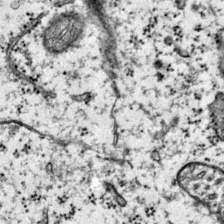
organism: Mouse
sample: Primary visual cortex